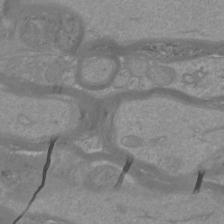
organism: Mouse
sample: Cortical neurons